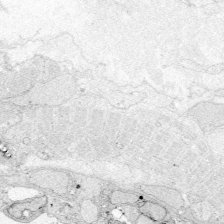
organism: Zebrafish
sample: Whole-Brain